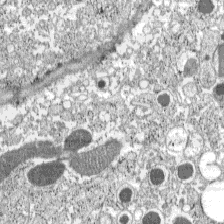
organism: C57BL Mouse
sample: Pancreatic islet